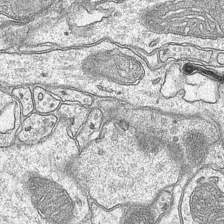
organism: Mouse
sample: CA1 Hippocampus